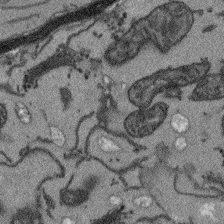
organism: Arabidopsis thaliana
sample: Root tip